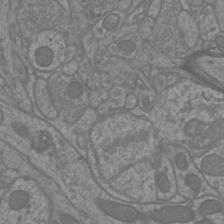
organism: Mouse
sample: Cortical neurons